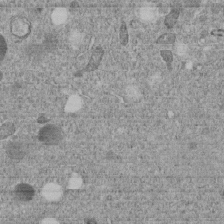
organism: C. elegans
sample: C. elegans embryo early stage